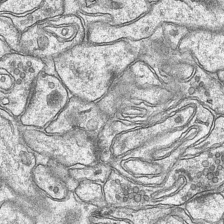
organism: Mouse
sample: CA1 Hippocampus